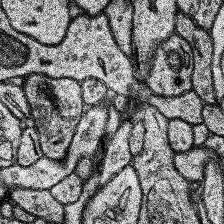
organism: Human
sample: Temporal Lobe